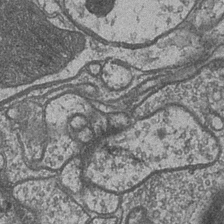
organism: Drosophila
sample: Optic medulla